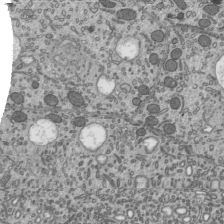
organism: Mouse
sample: Mouse epididymis efferent ductule cilia